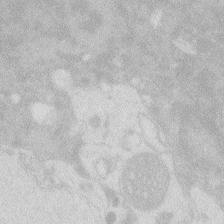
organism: Zebrafish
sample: Macrophage